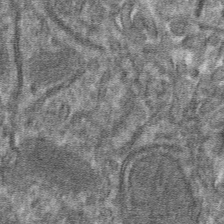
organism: Mouse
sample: Mouse hepatocytes